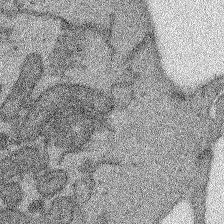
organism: Human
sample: HeLa cells